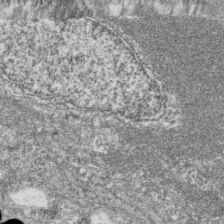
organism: Zebrafish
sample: Cilia; retinal pigment epithelium